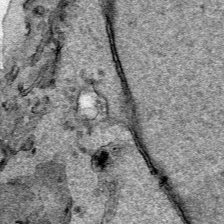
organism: Human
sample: Mitochondria in HCT116 cells